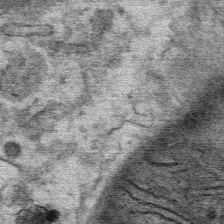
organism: Mouse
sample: Mouse Salivary gland